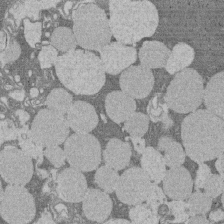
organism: Rat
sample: Salivary granule